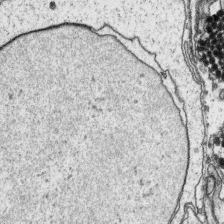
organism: Platynereis dumerilii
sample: Parapodia